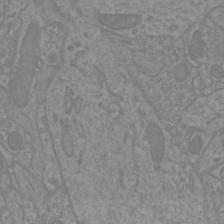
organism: Mouse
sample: Cortical neurons